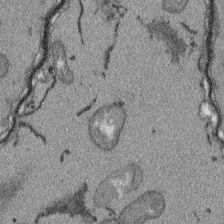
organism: Arabidopsis thaliana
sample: Root tip